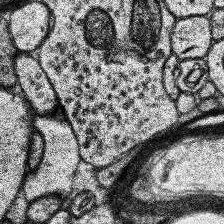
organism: Human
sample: Temporal Lobe